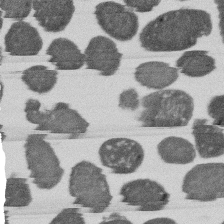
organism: E. coli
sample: Bacterial nucleoid